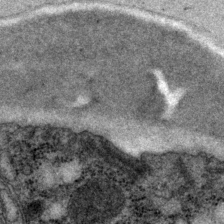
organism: P. pacificus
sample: Pharynx